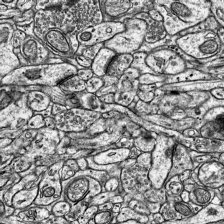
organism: Mouse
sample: Visual Cortex